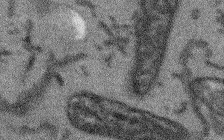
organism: Arabidopsis thaliana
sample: Root tip